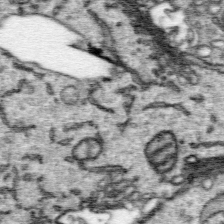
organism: Human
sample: HeLa cells